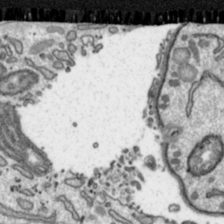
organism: Toxoplasma gondii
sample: Parasites in a vacuole inside a host cell